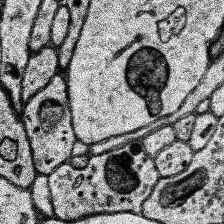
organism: Human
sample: Temporal Lobe